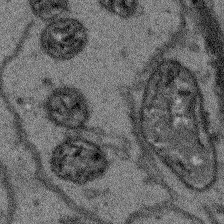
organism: Arabidopsis thaliana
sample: Root tip